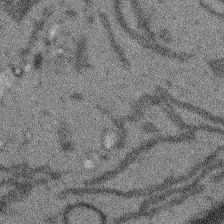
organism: Arabidopsis thaliana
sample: Root tip